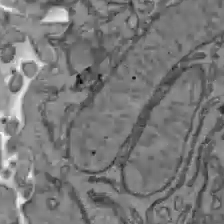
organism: C57BL Mouse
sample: Liver